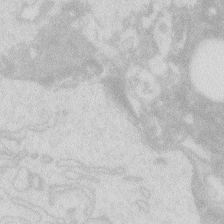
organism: Zebrafish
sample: Macrophage